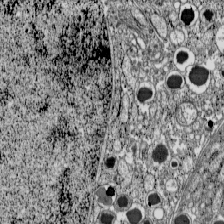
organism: C57BL Mouse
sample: Pancreatic islet